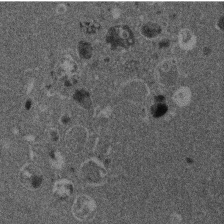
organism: Mouse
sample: Dividing mouse embryo 1 cell stage